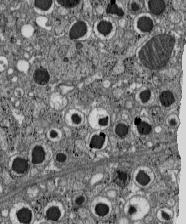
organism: C57BL Mouse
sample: Pancreatic islet